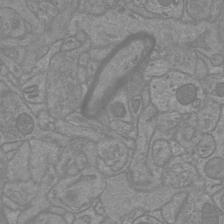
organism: Mouse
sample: Cortical neurons